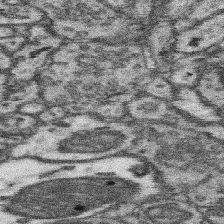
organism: Mouse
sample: Somatosensory cortex neuropil